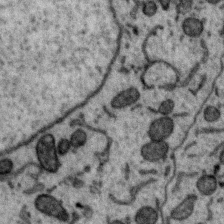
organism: Zebra finch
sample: Brain